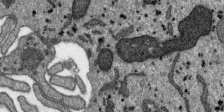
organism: Human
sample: Lung epithelial cells, uninfected (mock) control